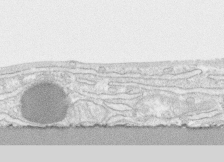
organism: Human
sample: CRL-1474